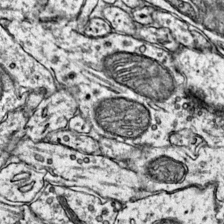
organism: Mouse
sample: Primary visual cortex